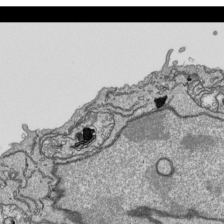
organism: Human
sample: Mitochondria in HCT116 cells